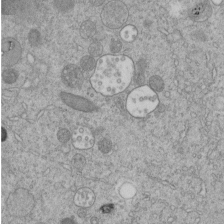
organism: C. elegans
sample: C. elegans embryo early stage